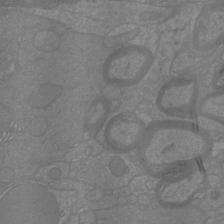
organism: Mouse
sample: Cortical neurons